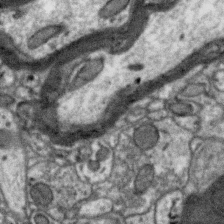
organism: Zebra finch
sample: Brain